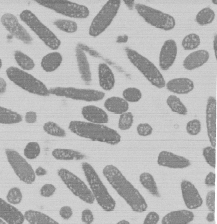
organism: E. coli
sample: Bacterial nucleoid